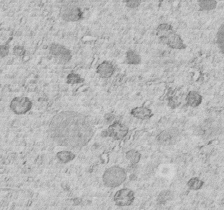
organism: C. elegans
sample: C. elegans embryo early stage